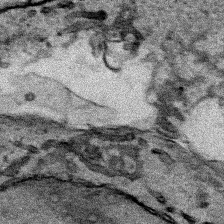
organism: Human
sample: Mitochondria in HCT116 cells